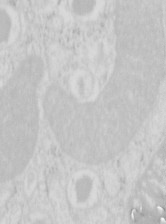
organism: Mouse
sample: Pancreas